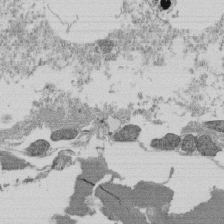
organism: Tetrahymena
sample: Cilia in tetrahymena